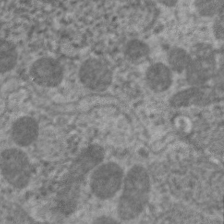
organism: C. elegans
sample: Pharynx